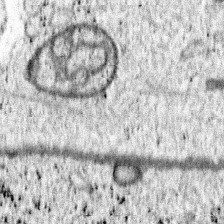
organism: Human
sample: HeLa cells